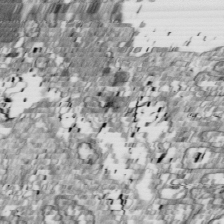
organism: Drosophila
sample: Cell division; meiosis; drosophila spermatocytes